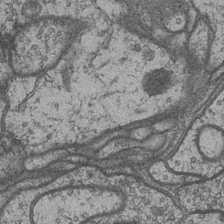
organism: Drosophila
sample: Optic medulla